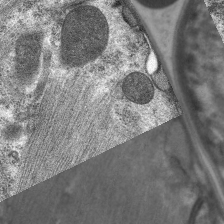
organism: C. elegans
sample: Pharynx